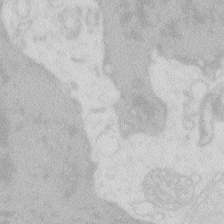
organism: Zebrafish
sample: Macrophage